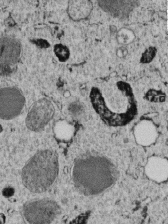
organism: C. elegans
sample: C. elegans embryo early stage